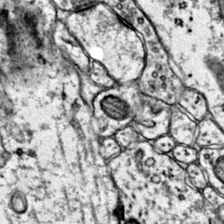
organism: Mouse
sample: Primary visual cortex